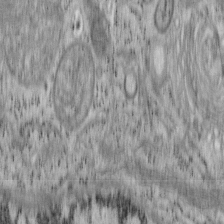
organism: Human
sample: HeLa cells